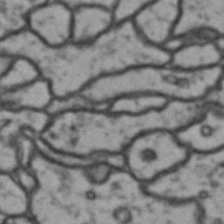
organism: Drosophila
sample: Brain